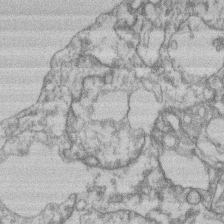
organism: Mouse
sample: T cell stromal cell synapse